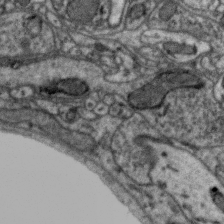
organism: Zebra finch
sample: Brain